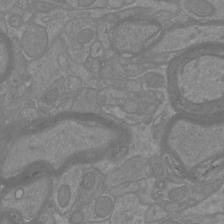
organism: Mouse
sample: Cortical neurons